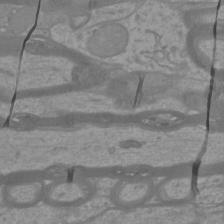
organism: Mouse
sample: Cortical neurons